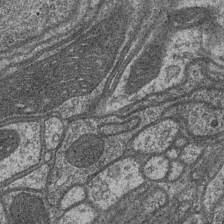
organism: Drosophila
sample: Optic medulla